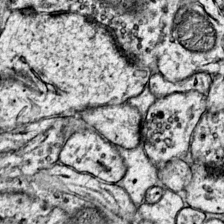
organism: Mouse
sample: Primary visual cortex